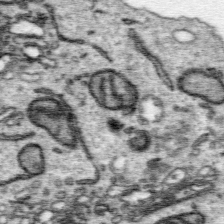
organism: Human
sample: HeLa cells